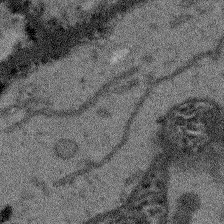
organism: Arabidopsis thaliana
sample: Root tip